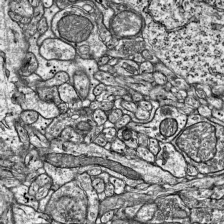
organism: Mouse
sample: Visual Cortex